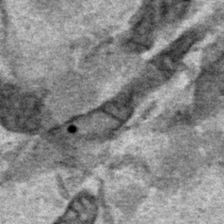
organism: Human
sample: Mitochondria in HCT116 cells